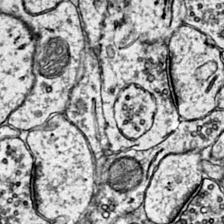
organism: Mouse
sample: Primary visual cortex